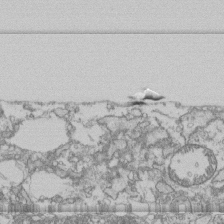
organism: Human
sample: Fibroblast cells